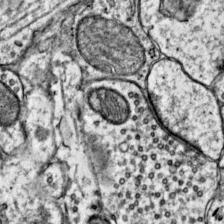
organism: Mouse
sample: Primary visual cortex